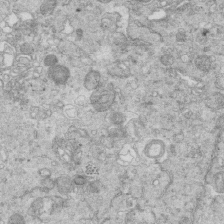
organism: Mouse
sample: Multiciliated cells